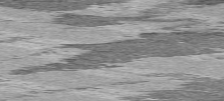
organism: C57BL Mouse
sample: Heart